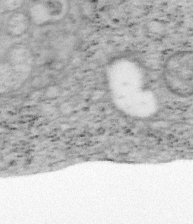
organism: Mouse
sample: OT-I killer T cells with ID8 ovarian cancer cells